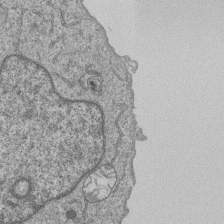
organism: Human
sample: MDA-MB-231 cells